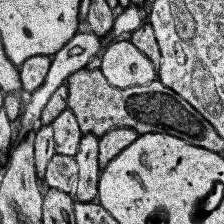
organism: Human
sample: Temporal Lobe